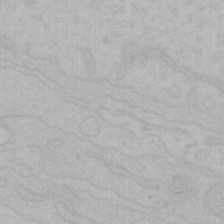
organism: Mouse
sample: Choroid plexus